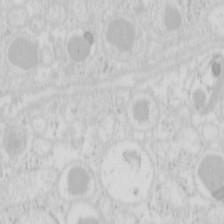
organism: Mouse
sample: Pancreas